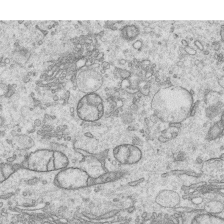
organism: Human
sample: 1205lu cells